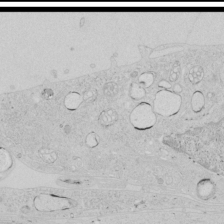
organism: Human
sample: Mitochondria in HCT116 cells